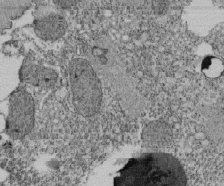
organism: Tetrahymena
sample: Cilia in tetrahymena